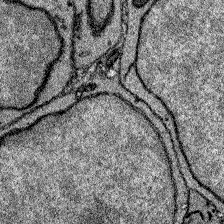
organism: Zebrafish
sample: Larval olfactory bulb